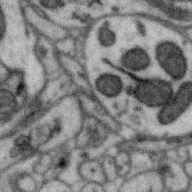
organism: Zebra finch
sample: Brain